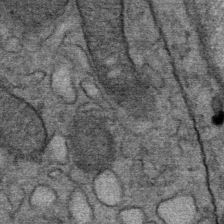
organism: Mouse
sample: Mouse Salivary gland